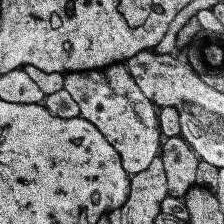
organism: Human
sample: Temporal Lobe